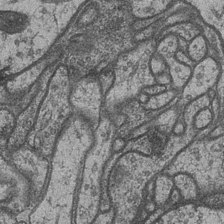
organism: Drosophila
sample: Optic medulla